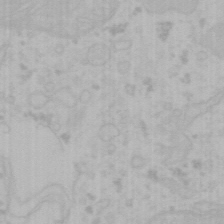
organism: Mouse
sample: Choroid plexus